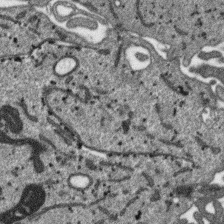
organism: Human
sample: Lung epithelial cells infected with SARS-CoV-2